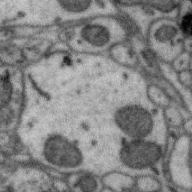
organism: Zebra finch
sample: Brain